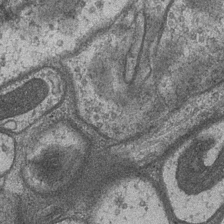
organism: Drosophila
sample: Optic medulla